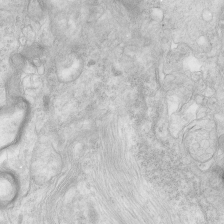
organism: Human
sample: Neocortex